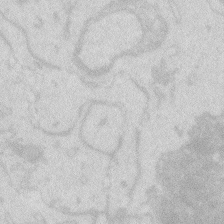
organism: Zebrafish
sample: Macrophage